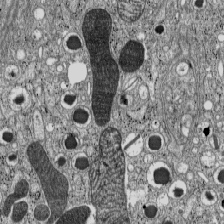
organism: C57BL Mouse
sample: Pancreatic islet